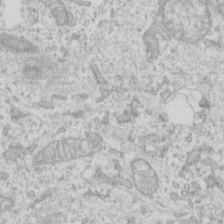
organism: Human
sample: Fibroblast cells